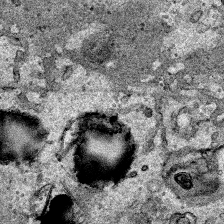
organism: Human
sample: Mitochondria in HCT116 cells